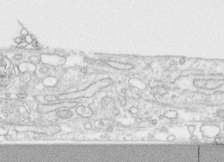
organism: Human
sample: CRL-1474